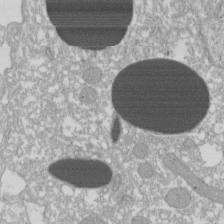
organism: Xenopus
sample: Cilia; centrioles in frog embryo cells